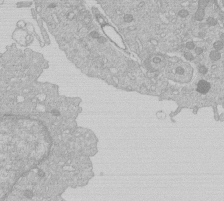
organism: Human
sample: Macrophage cells